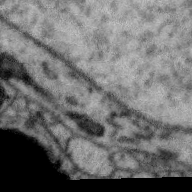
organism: Zebra finch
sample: Brain